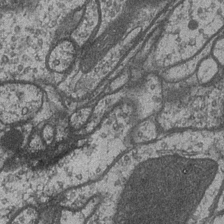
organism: Drosophila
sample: Optic medulla